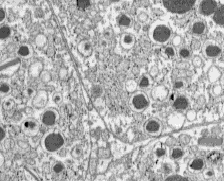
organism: C57BL Mouse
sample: Pancreatic islet